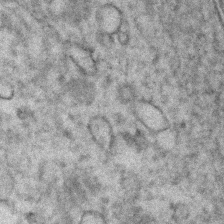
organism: Human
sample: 1205lu cells